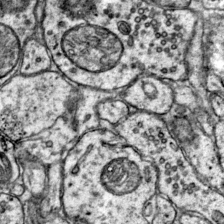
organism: Mouse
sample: Primary visual cortex